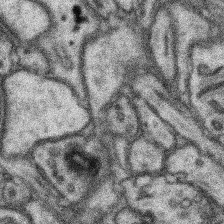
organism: Mouse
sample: Somatosensory cortex neuropil